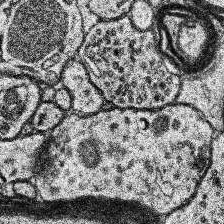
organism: Human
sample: Temporal Lobe